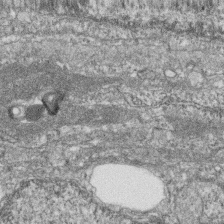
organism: Zebrafish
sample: Cilia; retinal pigment epithelium